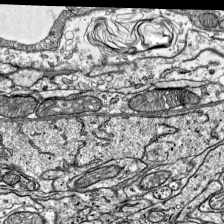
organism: Mouse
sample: Visual Cortex